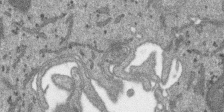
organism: Human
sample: Lung epithelial cells infected with SARS-CoV-2